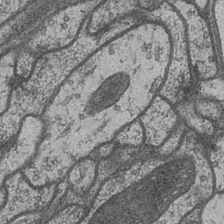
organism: Drosophila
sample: Optic medulla